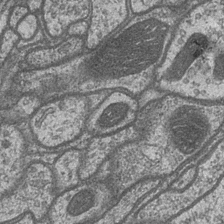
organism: Drosophila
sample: Optic medulla